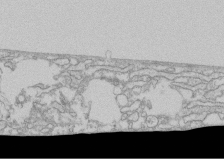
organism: Human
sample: CRL-1474